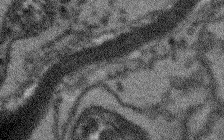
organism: Arabidopsis thaliana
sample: Root tip